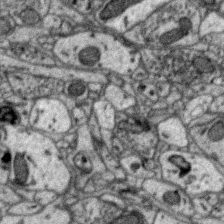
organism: Zebra finch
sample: Brain